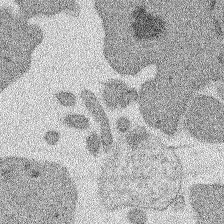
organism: Human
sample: HeLa cells